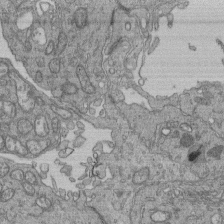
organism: Human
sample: Retinal organoid Rod and Cone cells